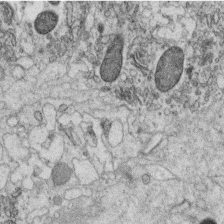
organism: C. elegans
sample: C. elegans oocyte; sperm cells